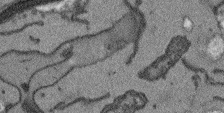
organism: Arabidopsis thaliana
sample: Root tip